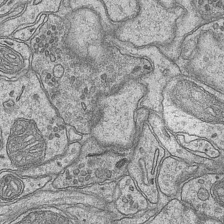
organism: Mouse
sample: CA1 Hippocampus